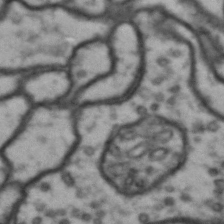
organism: Drosophila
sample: Brain